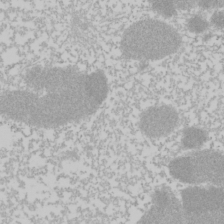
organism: Mouse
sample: Cancer cell death in ED-1 cells